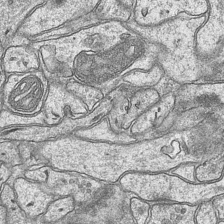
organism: Mouse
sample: CA1 Hippocampus